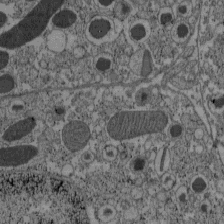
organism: C57BL Mouse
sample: Pancreatic islet